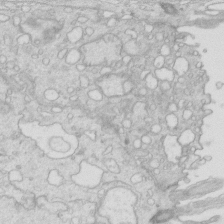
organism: Mouse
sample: Multiciliated cells